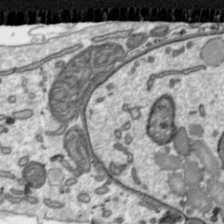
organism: Toxoplasma gondii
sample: Parasites in a vacuole inside a host cell